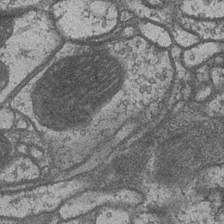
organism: Drosophila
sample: Optic medulla